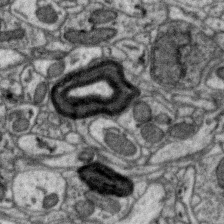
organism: Zebra finch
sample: Brain